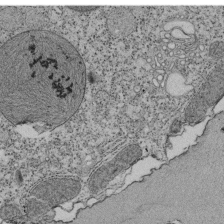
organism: Tetrahymena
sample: Cilia in tetrahymena